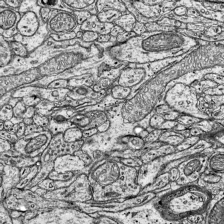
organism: Mouse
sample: Visual Cortex